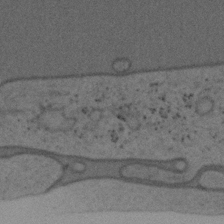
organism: Human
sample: HeLa cells